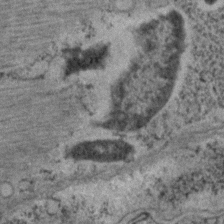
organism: C. elegans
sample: C. elegans embryo